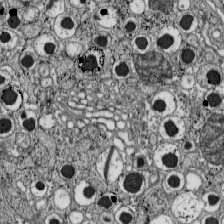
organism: C57BL Mouse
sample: Pancreatic islet